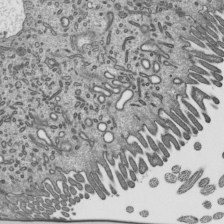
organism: Mouse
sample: Mouse epididymis efferent ductule cilia